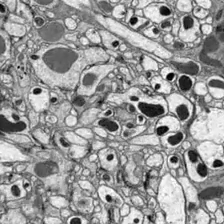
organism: Drosophila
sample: Optic lobe